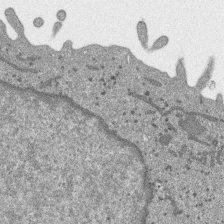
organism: Human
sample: Lung epithelial cells infected with SARS-CoV-2